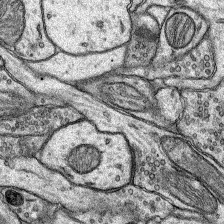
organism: Rat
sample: Hippocampus